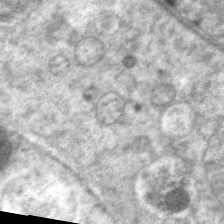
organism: C. elegans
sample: Pharynx